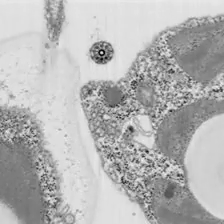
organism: Chlamydomonas reinhardtii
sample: Whole Cell